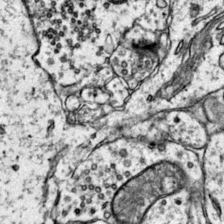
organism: Mouse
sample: Primary visual cortex